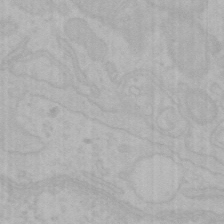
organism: Mouse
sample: Choroid plexus